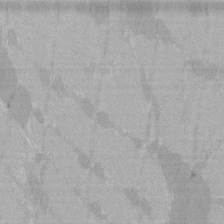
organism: C57BL Mouse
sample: Tibialis anterior muscle cell